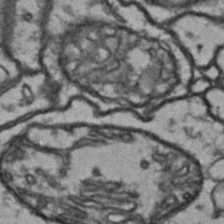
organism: Drosophila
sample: Brain